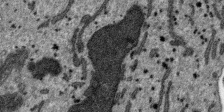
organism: Human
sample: Lung epithelial cells, uninfected (mock) control